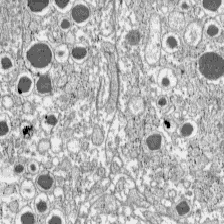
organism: C57BL Mouse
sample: Pancreatic islet